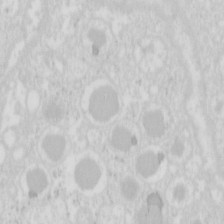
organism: Mouse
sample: Pancreas